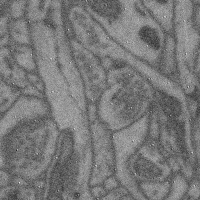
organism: Mouse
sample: Cerebral cortex